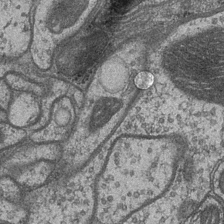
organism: Drosophila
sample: Optic medulla